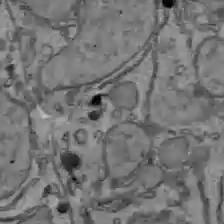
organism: C57BL Mouse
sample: Liver